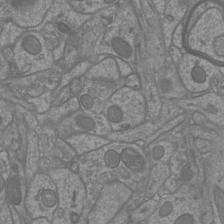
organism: Mouse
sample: Cortical neurons